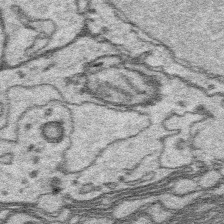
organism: Platynereis dumerilii